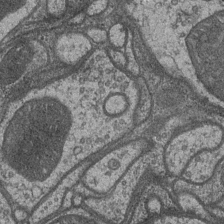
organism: Drosophila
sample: Optic medulla